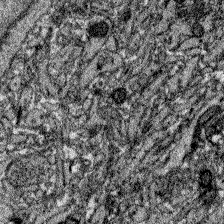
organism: Zebrafish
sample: Larval olfactory bulb